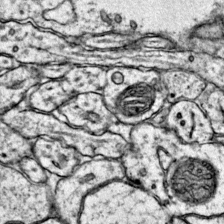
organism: Mouse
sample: Primary visual cortex